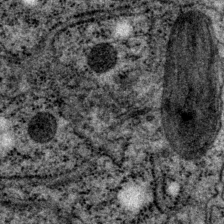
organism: P. pacificus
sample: Pharynx